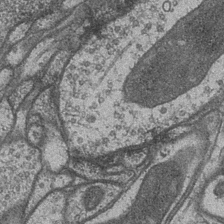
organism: Drosophila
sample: Optic medulla